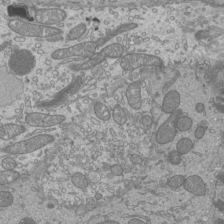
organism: Mouse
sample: Cilia; mouse epididymis